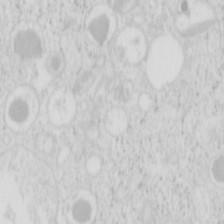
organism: Mouse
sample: Pancreas